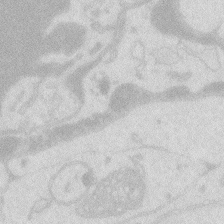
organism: Zebrafish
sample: Macrophage